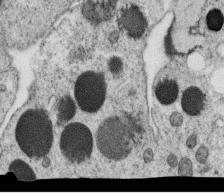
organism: C. elegans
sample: C. elegans oocyte; sperm cells